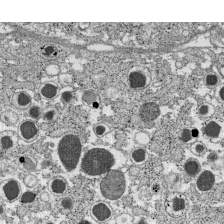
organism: C57BL Mouse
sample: Pancreatic islet